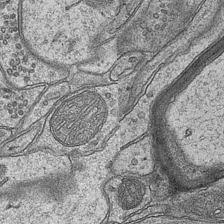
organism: Mouse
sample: CA1 Hippocampus